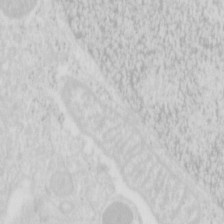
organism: Mouse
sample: Pancreas